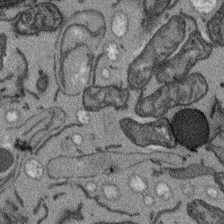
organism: Arabidopsis thaliana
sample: Root tip